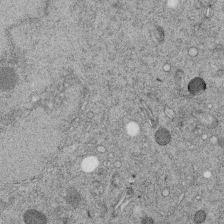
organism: C. elegans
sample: C. elegans embryo early stage